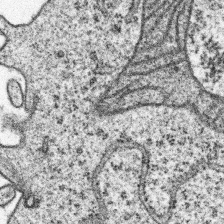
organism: Human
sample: HeLa cells